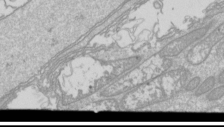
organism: Drosophila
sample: Cell division; meiosis; drosophila spermatocytes